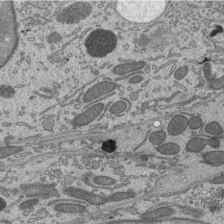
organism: Mouse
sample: Mouse epididymis efferent ductule cilia